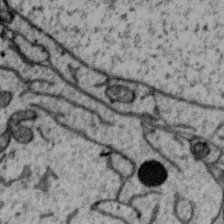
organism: Zebra finch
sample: Brain